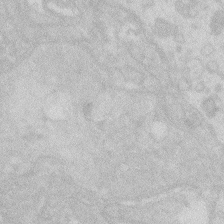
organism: Zebrafish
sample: Macrophage